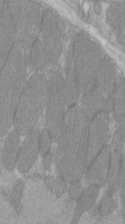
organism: C57BL Mouse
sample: Tibialis anterior muscle cell